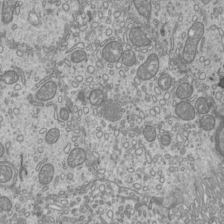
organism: Mouse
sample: Cilia; mouse epididymis